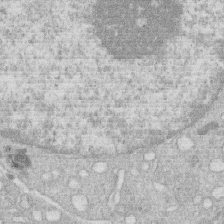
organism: Human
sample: Macrophage cells